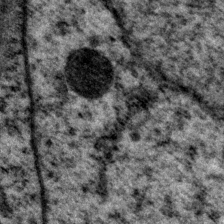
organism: P. pacificus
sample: Pharynx